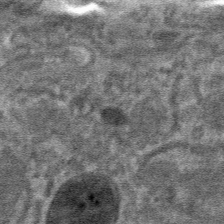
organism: Mouse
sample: Mouse hepatocytes